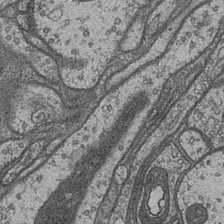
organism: Drosophila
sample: Optic medulla